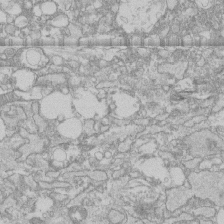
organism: Human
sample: CRL-1474